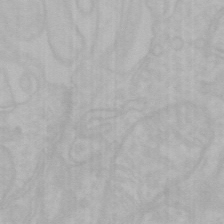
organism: Mouse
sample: Choroid plexus